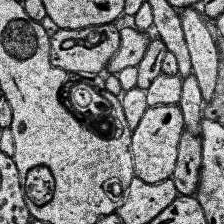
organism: Human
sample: Temporal Lobe